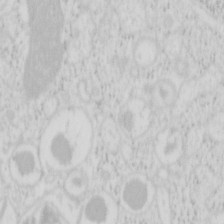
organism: Mouse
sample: Pancreas